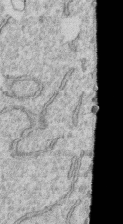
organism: Human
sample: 1205lu cells